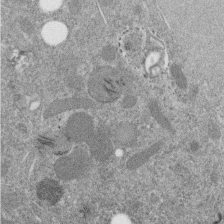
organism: C. elegans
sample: C. elegans embryo early stage